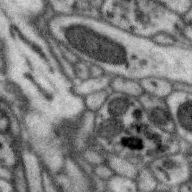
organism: Zebra finch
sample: Brain